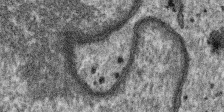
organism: Human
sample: Lung epithelial cells infected with SARS-CoV-2